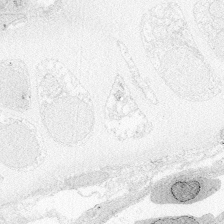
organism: Zebrafish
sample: Whole-Brain